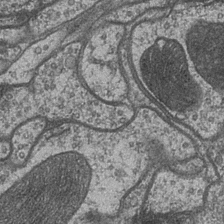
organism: Drosophila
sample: Optic medulla